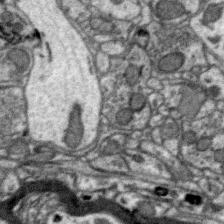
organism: Zebra finch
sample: Brain